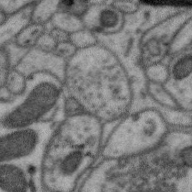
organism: Zebra finch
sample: Brain